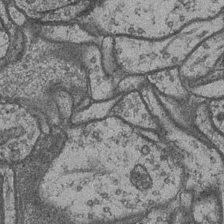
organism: Drosophila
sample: Optic medulla